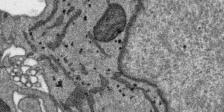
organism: Human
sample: Lung epithelial cells, uninfected (mock) control